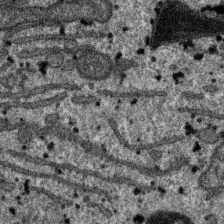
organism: Human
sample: Lung epithelial cells infected with SARS-CoV-2